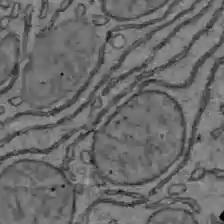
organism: C57BL Mouse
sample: Liver